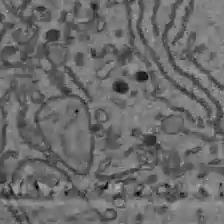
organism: C57BL Mouse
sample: Liver